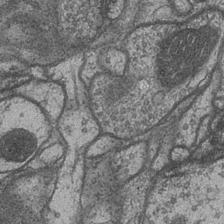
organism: Drosophila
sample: Optic medulla